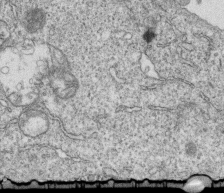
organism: Human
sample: HeLa cell HIV synapse